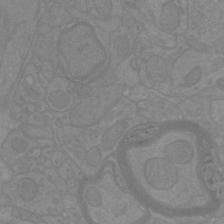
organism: Mouse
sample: Cortical neurons